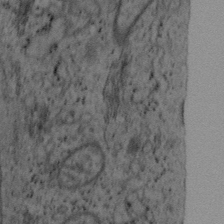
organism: Human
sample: HeLa cells